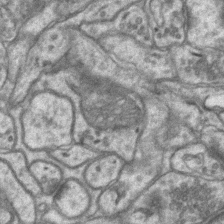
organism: Mouse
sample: CA1 Hippocampus